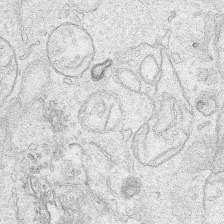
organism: Human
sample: Mitochondria in HCT116 cells